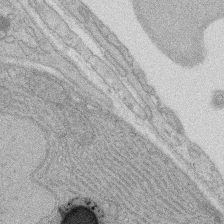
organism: Rat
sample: Salivary granule